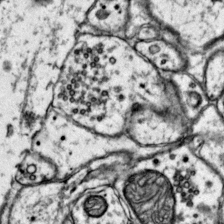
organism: Mouse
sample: Primary visual cortex